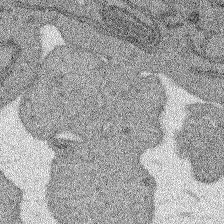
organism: Human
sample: HeLa cells